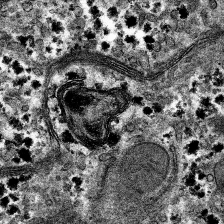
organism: Mouse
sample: Mouse hepatocytes